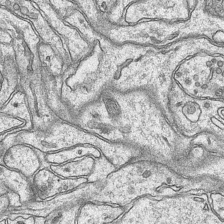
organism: Mouse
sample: CA1 Hippocampus